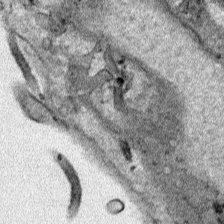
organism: Human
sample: Mitochondria in HCT116 cells